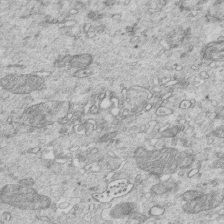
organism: Mouse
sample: Multiciliated cells